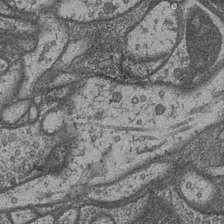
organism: Drosophila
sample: Optic medulla